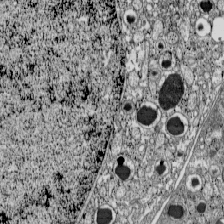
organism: C57BL Mouse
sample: Pancreatic islet